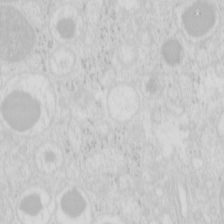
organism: Mouse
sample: Pancreas